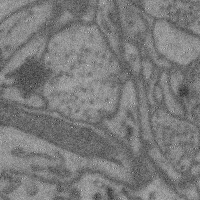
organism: Mouse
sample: Cerebral cortex